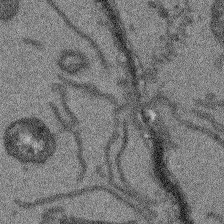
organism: Arabidopsis thaliana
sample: Root tip